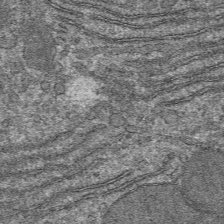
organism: Mouse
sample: Mouse hepatocytes